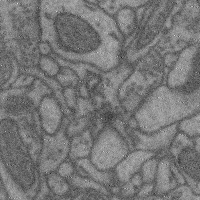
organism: Mouse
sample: Cerebral cortex